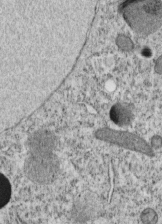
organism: C. elegans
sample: C. elegans embryo early stage